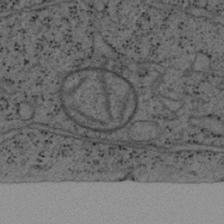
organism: Human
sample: HeLa cells